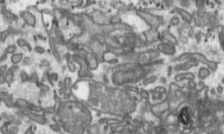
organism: Toxoplasma gondii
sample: Parasites in a vacuole inside a host cell